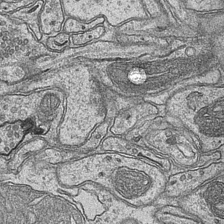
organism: Mouse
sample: CA1 Hippocampus